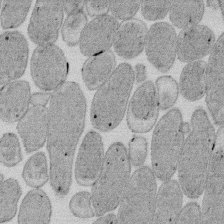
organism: E. coli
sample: Bacterial nucleoid